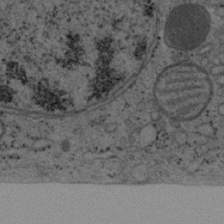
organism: Human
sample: HeLa cells